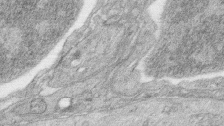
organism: Zebrafish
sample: synaptic ribbons in rod cells and cone cells